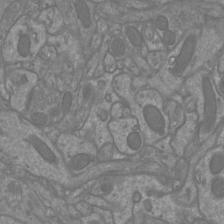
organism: Mouse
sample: Cortical neurons